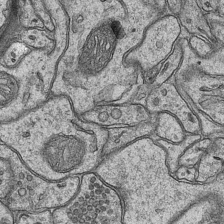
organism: Mouse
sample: CA1 Hippocampus